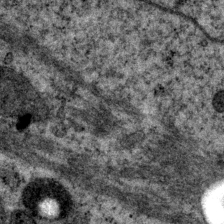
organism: P. pacificus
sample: Pharynx